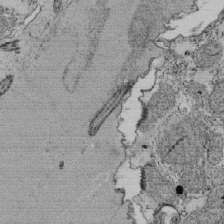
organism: Tetrahymena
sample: Cilia in tetrahymena